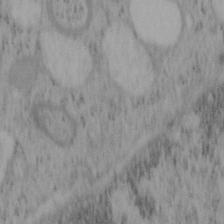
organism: Mouse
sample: OT-I killer T cells with ID8 ovarian cancer cells